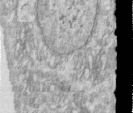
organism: Human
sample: Centriole in RPE cells